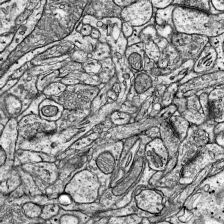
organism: Mouse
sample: Visual Cortex